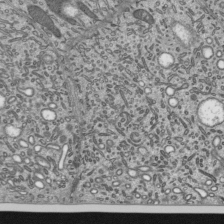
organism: Mouse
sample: Mouse epididymis efferent ductule cilia